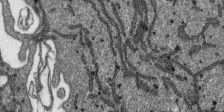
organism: Human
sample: Lung epithelial cells infected with SARS-CoV-2